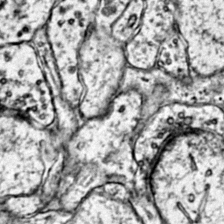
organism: Mouse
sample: Primary visual cortex